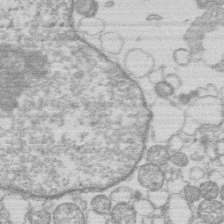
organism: Human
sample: Macrophage cells